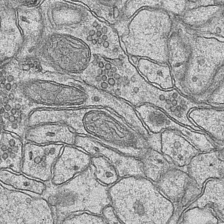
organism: Mouse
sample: CA1 Hippocampus